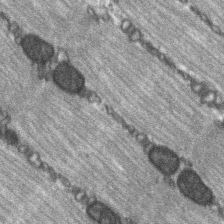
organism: C57BL Mouse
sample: Soleus